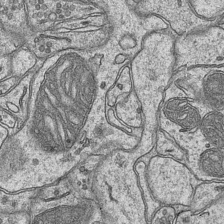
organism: Mouse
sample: CA1 Hippocampus